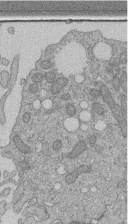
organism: Human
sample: Retinal organoid Rod and Cone cells